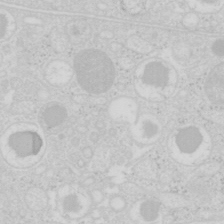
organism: Mouse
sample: Pancreas